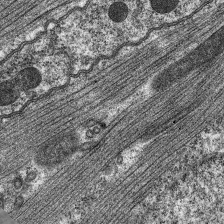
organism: C. elegans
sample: Pharynx